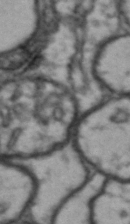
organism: Drosophila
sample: Brain